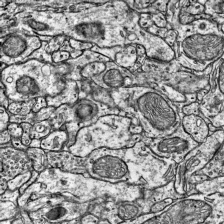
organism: Mouse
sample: Visual Cortex